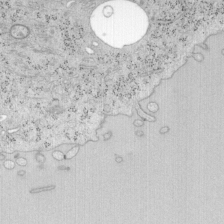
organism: Mouse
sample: OT-I killer T cells with ID8 ovarian cancer cells